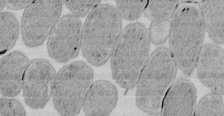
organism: E. coli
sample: Bacterial nucleoid